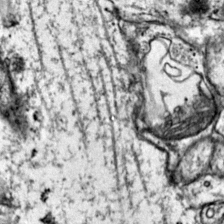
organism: Mouse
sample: Primary visual cortex